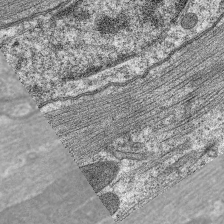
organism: C. elegans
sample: Pharynx